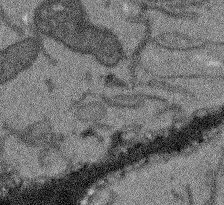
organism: Arabidopsis thaliana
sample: Root tip